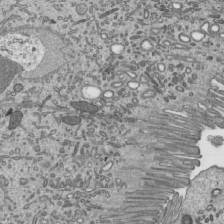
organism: Mouse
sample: Mouse epididymis efferent ductule cilia